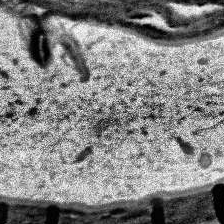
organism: Human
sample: Temporal Lobe